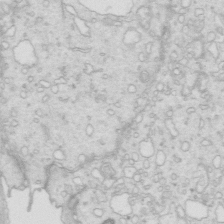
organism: Mouse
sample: Multiciliated cells